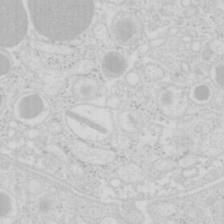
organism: Mouse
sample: Pancreas